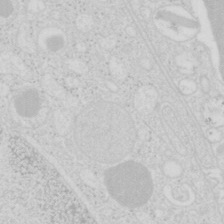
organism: Mouse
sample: Pancreas